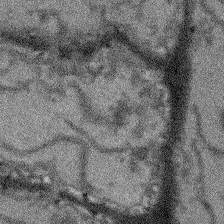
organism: Arabidopsis thaliana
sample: Root tip